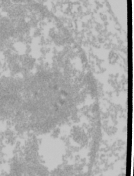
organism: Mouse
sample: Cancer cell death in ED-1 cells